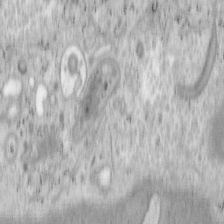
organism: Human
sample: HeLa cells